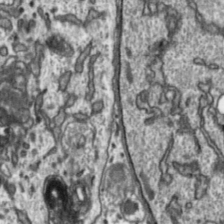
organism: Toxoplasma gondii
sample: Parasites in a vacuole inside a host cell